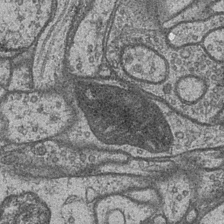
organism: Drosophila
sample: Optic medulla